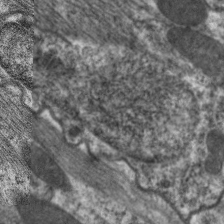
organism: C. elegans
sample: Pharynx